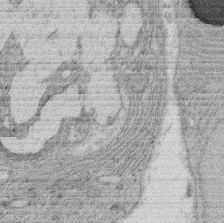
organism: Rat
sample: Salivary granule